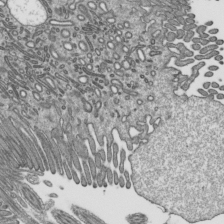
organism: Mouse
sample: Mouse epididymis efferent ductule cilia